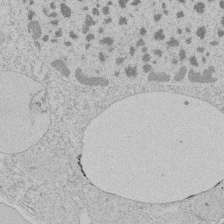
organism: Tetrahymena